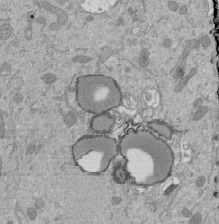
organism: Mouse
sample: ED-1 cell nuclei; centrioles